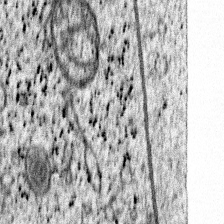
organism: Human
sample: HeLa cells